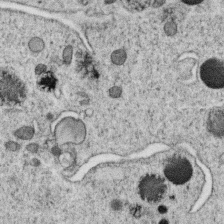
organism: C. elegans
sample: C. elegans oocyte; sperm cells